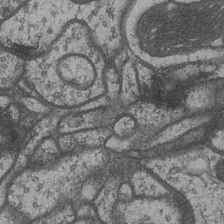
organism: Drosophila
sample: Optic medulla